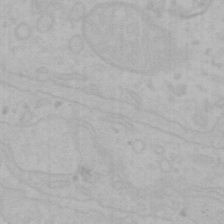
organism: Mouse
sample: Choroid plexus